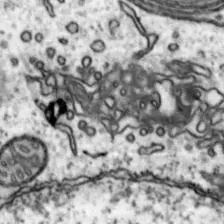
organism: Mouse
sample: Nucleus accumbens